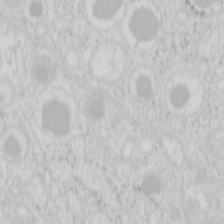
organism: Mouse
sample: Pancreas